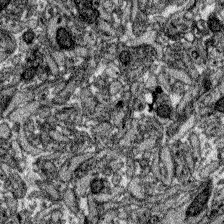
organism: Zebrafish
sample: Larval olfactory bulb